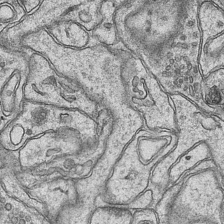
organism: Mouse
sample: CA1 Hippocampus